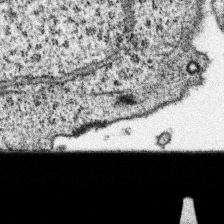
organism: Human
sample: HeLa cells